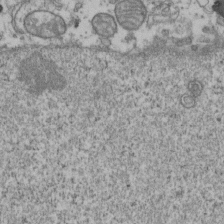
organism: Human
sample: Activated Jurkat CD4+ T cells